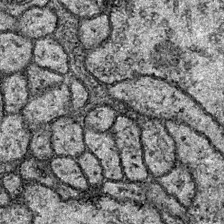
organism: Drosophila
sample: Ventral Nerve Cord